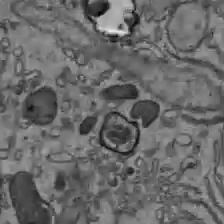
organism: C57BL Mouse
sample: Liver